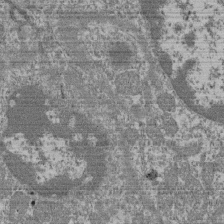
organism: Mouse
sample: Glomerulus